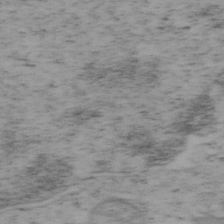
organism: Mouse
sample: OT-I killer T cells with ID8 ovarian cancer cells